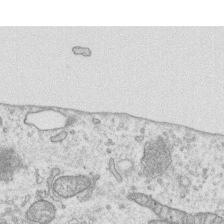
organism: Human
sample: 1205lu cells